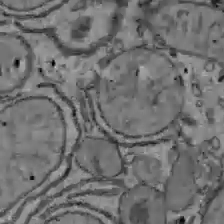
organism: C57BL Mouse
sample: Liver